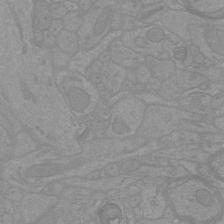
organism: Mouse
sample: Cortical neurons